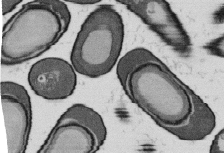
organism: B. subtilis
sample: Bacterial spore